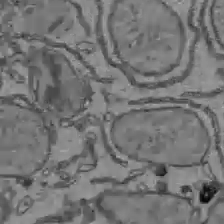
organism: C57BL Mouse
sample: Liver